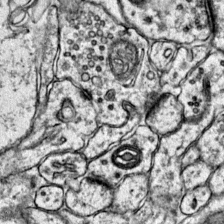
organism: Mouse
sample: Primary visual cortex